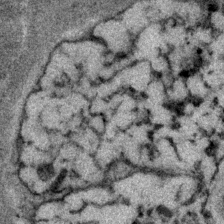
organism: P. pacificus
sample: Pharynx